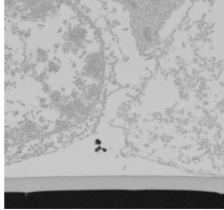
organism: Mouse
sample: Cancer cell death in ED-1 cells